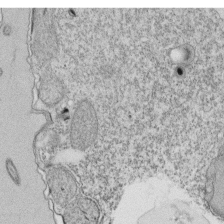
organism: Tetrahymena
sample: Cilia in tetrahymena